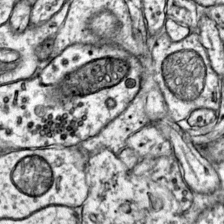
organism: Mouse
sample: Primary visual cortex